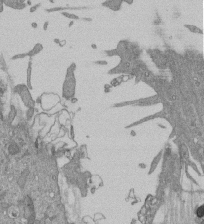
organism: Mouse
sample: ED-1 cell nuclei; centrioles